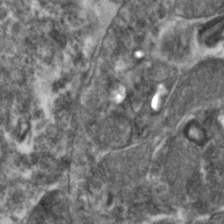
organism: Zebrafish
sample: Zebrafish embryo